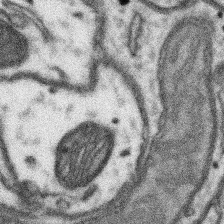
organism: Mouse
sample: Somatosensory cortex neuropil